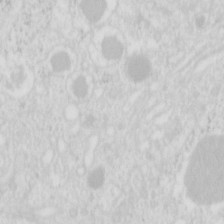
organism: Mouse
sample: Pancreas